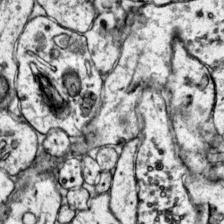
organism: Mouse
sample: Primary visual cortex